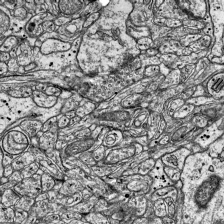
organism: Mouse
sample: Visual Cortex